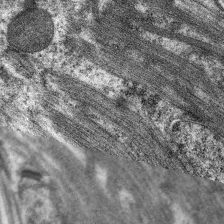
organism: C. elegans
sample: Pharynx